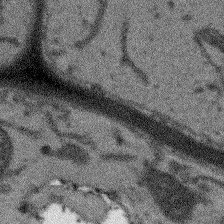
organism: Arabidopsis thaliana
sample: Root tip